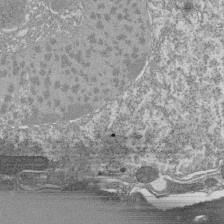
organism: Tetrahymena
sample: Cilia in tetrahymena